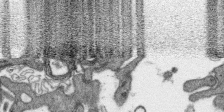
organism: Human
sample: Lung epithelial cells, uninfected (mock) control